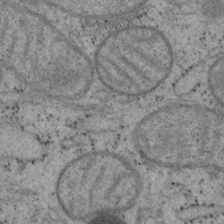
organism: Human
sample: HeLa cells